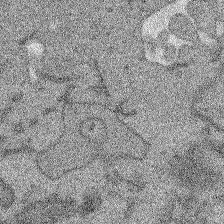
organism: Human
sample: HeLa cells